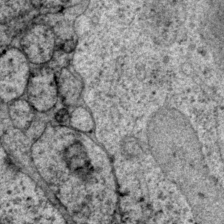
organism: P. pacificus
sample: Pharynx